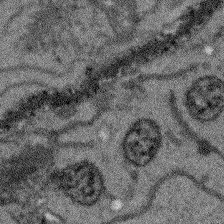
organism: Arabidopsis thaliana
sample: Root tip